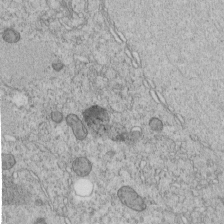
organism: C. elegans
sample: C. elegans embryo early stage